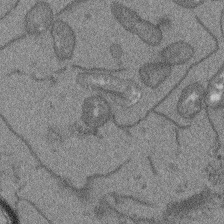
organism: Arabidopsis thaliana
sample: Root tip